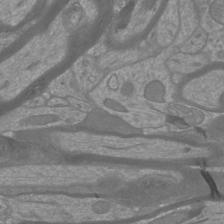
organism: Mouse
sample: Cortical neurons